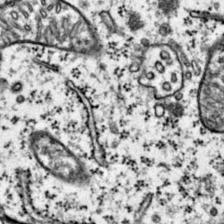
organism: Mouse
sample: Primary visual cortex